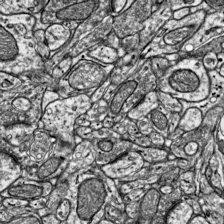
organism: Mouse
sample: Visual Cortex